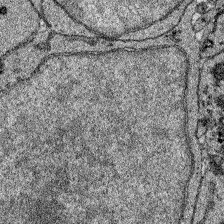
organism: Zebrafish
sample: Larval olfactory bulb